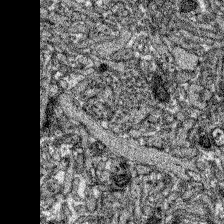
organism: Zebrafish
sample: Larval olfactory bulb